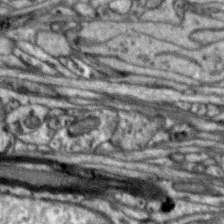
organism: Zebra finch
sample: Brain